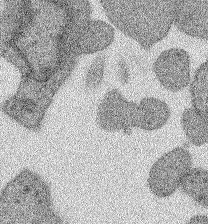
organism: Human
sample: HeLa cells